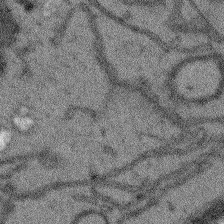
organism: Arabidopsis thaliana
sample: Root tip